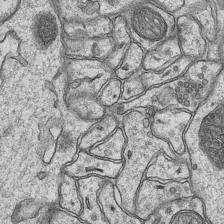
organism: Mouse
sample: CA1 Hippocampus